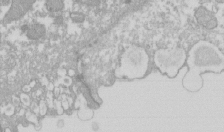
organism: Xenopus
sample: Cilia; centrioles in frog embryo cells